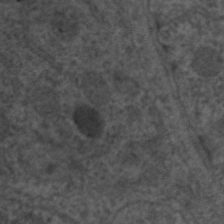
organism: C. elegans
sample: Pharynx